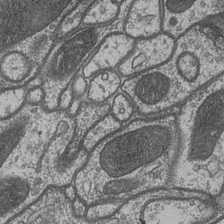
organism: Drosophila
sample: Optic medulla